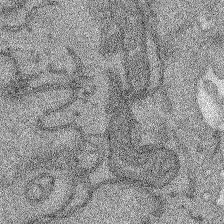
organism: Human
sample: HeLa cells